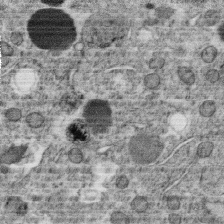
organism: C. elegans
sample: C. elegans oocyte; sperm cells